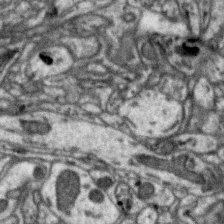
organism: Zebra finch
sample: Brain